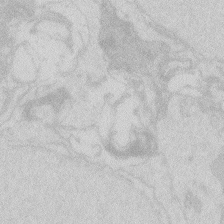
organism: Zebrafish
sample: Macrophage